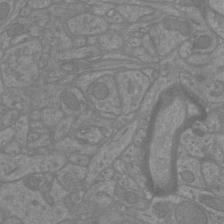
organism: Mouse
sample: Cortical neurons